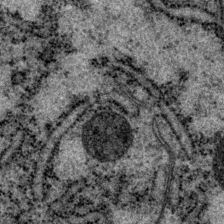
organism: P. pacificus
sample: Pharynx